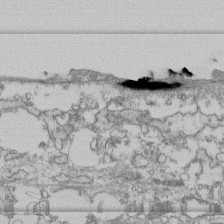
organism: Human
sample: Fibroblast cells